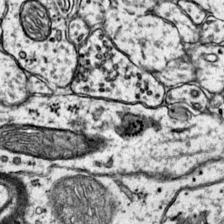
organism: Mouse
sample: Primary visual cortex